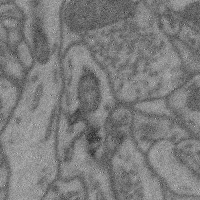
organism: Mouse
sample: Cerebral cortex